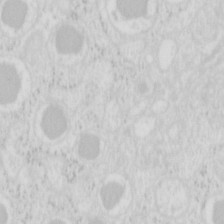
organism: Mouse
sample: Pancreas